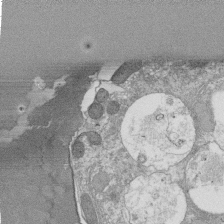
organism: Tetrahymena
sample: Cilia in tetrahymena